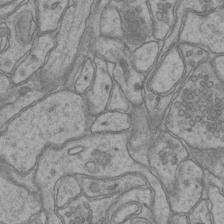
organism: Mouse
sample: CA1 Hippocampus